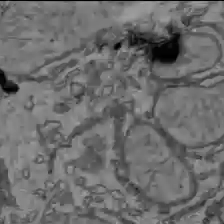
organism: C57BL Mouse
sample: Liver